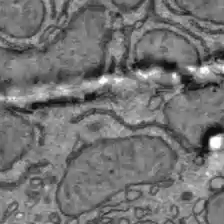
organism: C57BL Mouse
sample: Liver